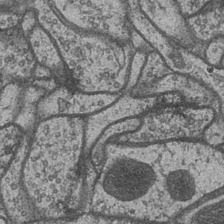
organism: Drosophila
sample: Optic medulla